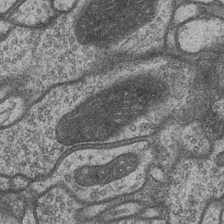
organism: Drosophila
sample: Optic medulla